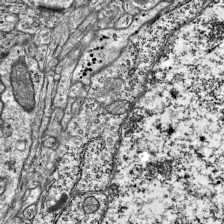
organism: Mouse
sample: Visual Cortex